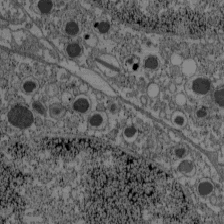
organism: C57BL Mouse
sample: Pancreatic islet